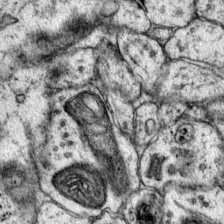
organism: Mouse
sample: Primary visual cortex